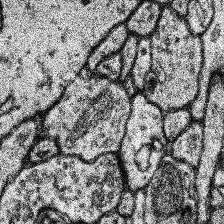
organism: Human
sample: Temporal Lobe